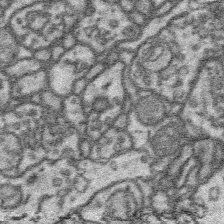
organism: Platynereis dumerilii